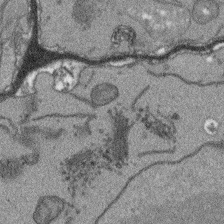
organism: Arabidopsis thaliana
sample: Root tip